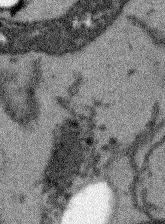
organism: Arabidopsis thaliana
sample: Root tip